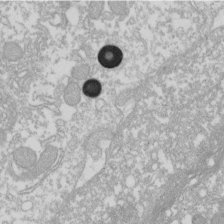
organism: Xenopus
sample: Cilia; centrioles in frog embryo cells